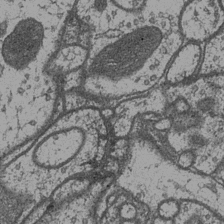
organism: Drosophila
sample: Optic medulla